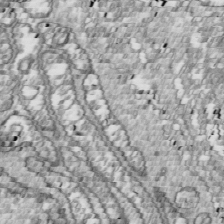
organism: Drosophila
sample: Cell division; meiosis; drosophila spermatocytes